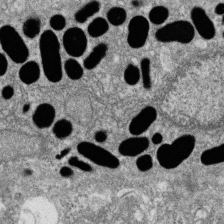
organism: Zebrafish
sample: Cilia; retinal pigment epithelium